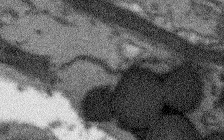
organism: Arabidopsis thaliana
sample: Root tip